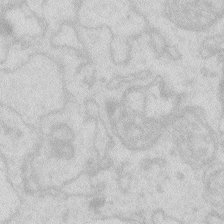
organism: Zebrafish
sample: Macrophage